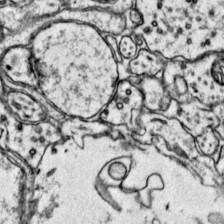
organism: Mouse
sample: Primary visual cortex